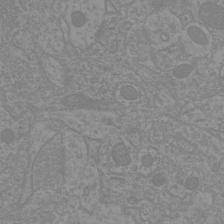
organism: Mouse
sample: Cortical neurons